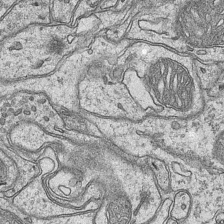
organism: Mouse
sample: CA1 Hippocampus